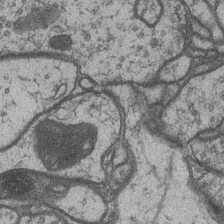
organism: Drosophila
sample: Optic medulla